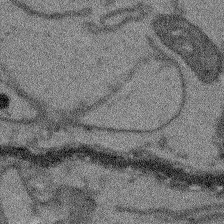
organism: Arabidopsis thaliana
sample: Root tip